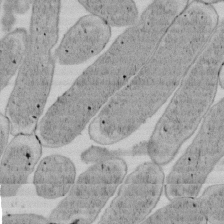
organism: E. coli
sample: Bacterial nucleoid